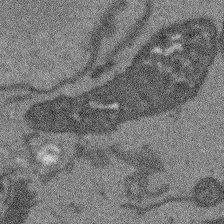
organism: Arabidopsis thaliana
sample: Root tip